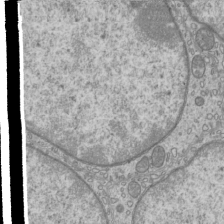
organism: Mouse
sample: Cilia; mouse epididymis